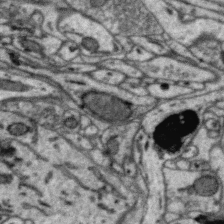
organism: Zebra finch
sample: Brain